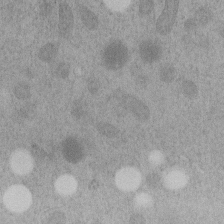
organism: C. elegans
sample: C. elegans embryo early stage